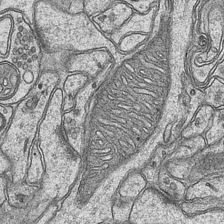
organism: Mouse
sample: CA1 Hippocampus